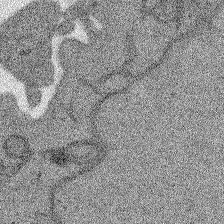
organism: Human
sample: HeLa cells